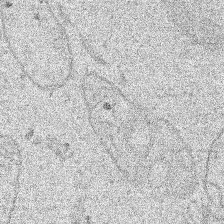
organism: Human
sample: Mitochondria in HCT116 cells